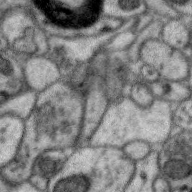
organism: Zebra finch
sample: Brain